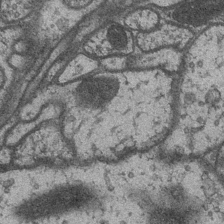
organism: Drosophila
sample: Optic medulla